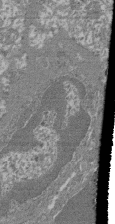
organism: Mouse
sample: Glomerulus